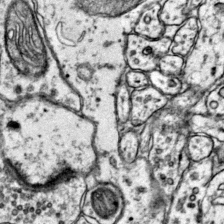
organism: Mouse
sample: Primary visual cortex